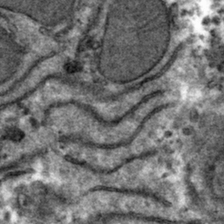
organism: Mouse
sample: Mouse hepatocytes